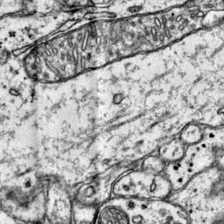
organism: Mouse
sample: Primary visual cortex